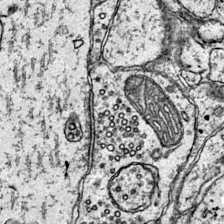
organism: Mouse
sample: Primary visual cortex